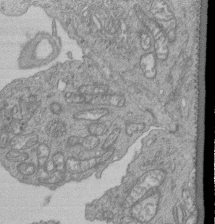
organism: Human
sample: Retinal organoid Rod and Cone cells